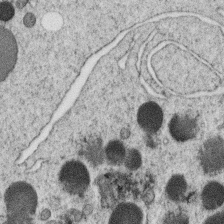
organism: C. elegans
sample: C. elegans oocyte; sperm cells